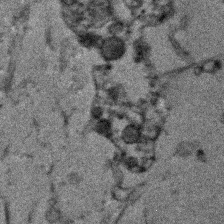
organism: Human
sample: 1205lu cells